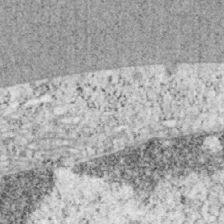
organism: Mouse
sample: OT-I killer T cells with ID8 ovarian cancer cells